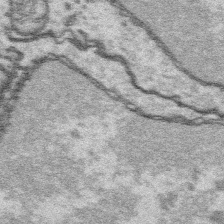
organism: Platynereis dumerilii